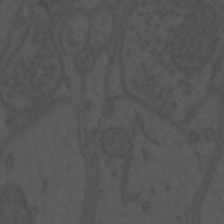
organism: Mouse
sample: Suprachiasmatic nucleus